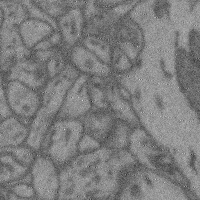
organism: Mouse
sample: Cerebral cortex